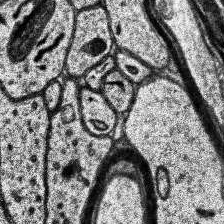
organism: Human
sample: Temporal Lobe